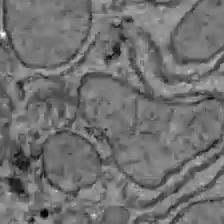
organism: C57BL Mouse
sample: Liver